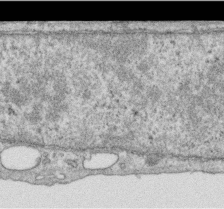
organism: Human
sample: Centriole in RPE cells